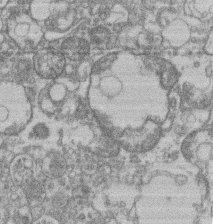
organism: Mouse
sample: T cell stromal cell synapse